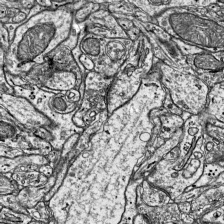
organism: Mouse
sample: Visual Cortex